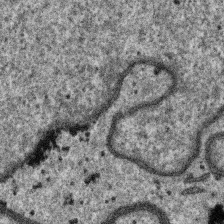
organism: Human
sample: Lung epithelial cells infected with SARS-CoV-2